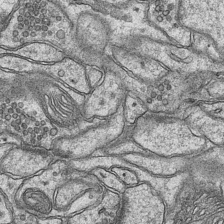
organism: Mouse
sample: CA1 Hippocampus